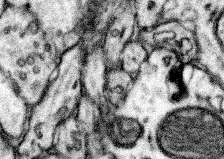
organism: Mouse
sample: Somatosensory cortex neuropil